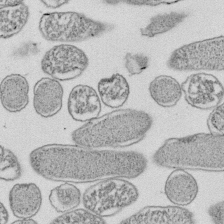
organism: E. coli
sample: Bacterial nucleoid